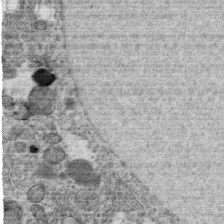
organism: C. elegans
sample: C. elegans oocyte; sperm cells